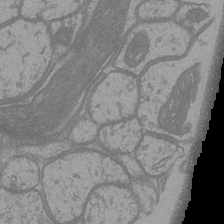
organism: Drosophila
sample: Optic medulla